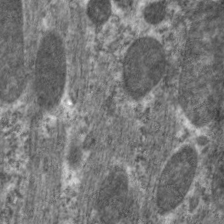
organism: C. elegans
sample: Pharynx